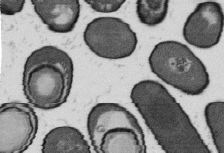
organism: B. subtilis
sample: Bacterial spore